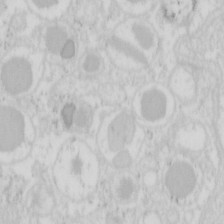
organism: Mouse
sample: Pancreas